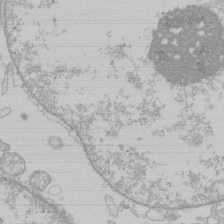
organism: Human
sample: Macrophage cells